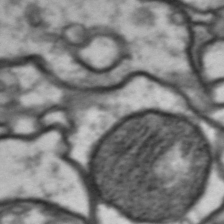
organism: Drosophila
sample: Brain